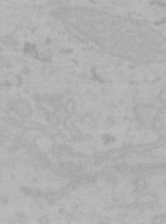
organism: Mouse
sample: Choroid plexus